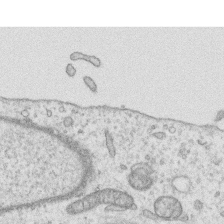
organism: Human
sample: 1205lu cells